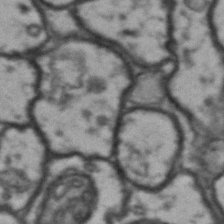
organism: Drosophila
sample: Brain